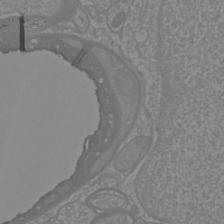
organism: Mouse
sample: Cortical neurons